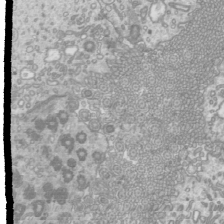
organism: Mouse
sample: Cilia; mouse epididymis